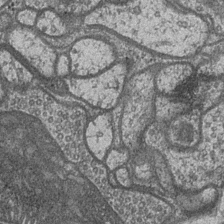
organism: Drosophila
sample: Optic medulla